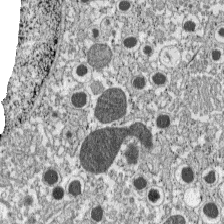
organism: C57BL Mouse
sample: Pancreatic islet